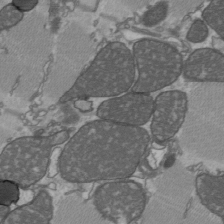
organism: C57BL Mouse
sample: Heart